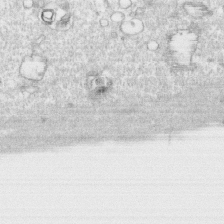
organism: Human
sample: CRL-1474